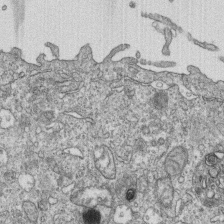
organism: Human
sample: HeLa cell HIV synapse